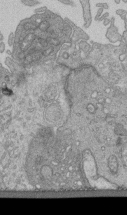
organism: Human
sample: Retinal organoid Rod and Cone cells